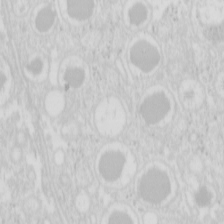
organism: Mouse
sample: Pancreas